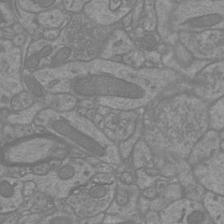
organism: Mouse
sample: Cortical neurons